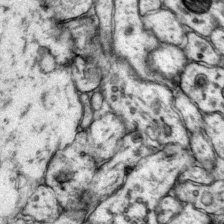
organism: Mouse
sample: Primary visual cortex